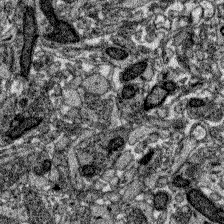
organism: Zebrafish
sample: Larval olfactory bulb